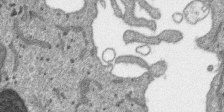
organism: Human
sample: Lung epithelial cells infected with SARS-CoV-2